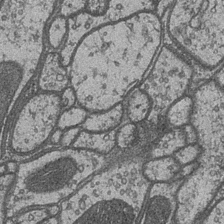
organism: Drosophila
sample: Optic medulla